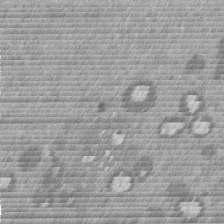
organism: Mouse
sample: Dividing mouse embryo 1 cell stage